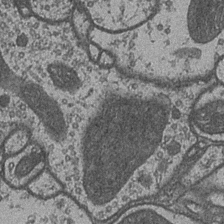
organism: Drosophila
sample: Optic medulla